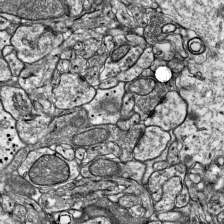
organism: Mouse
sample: Visual Cortex